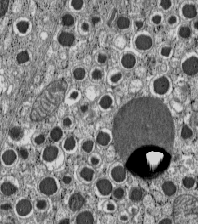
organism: C57BL Mouse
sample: Pancreatic islet